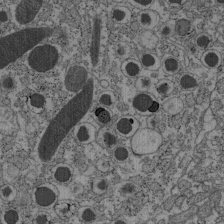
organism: C57BL Mouse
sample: Pancreatic islet